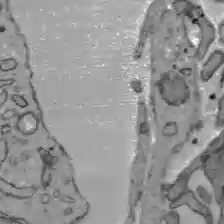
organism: C57BL Mouse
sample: Liver